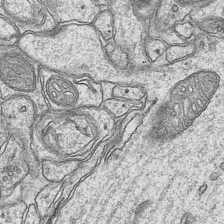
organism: Mouse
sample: CA1 Hippocampus